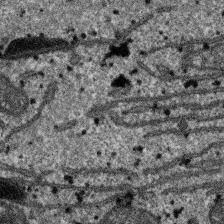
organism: Human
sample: Lung epithelial cells infected with SARS-CoV-2